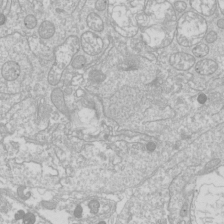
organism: Drosophila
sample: Cell division; meiosis; drosophila spermatocytes